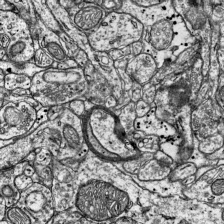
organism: Mouse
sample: Visual Cortex